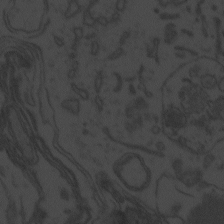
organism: Zebrafish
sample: Macrophage infected with Toxoplasma gondii